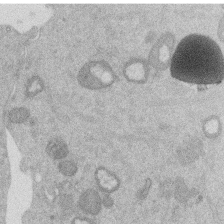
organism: Mouse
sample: Dividing mouse embryo 1 cell stage